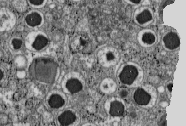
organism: C57BL Mouse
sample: Pancreatic islet